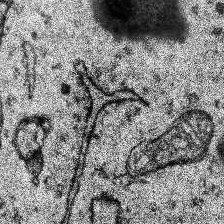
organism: Human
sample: Temporal Lobe